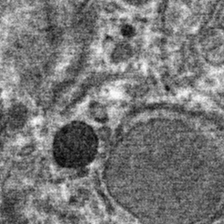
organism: Mouse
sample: Mouse hepatocytes